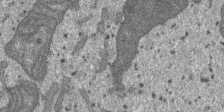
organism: Human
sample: Lung epithelial cells infected with SARS-CoV-2